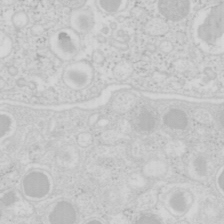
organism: Mouse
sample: Pancreas